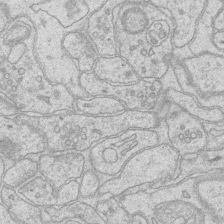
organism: Mouse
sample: CA1 Hippocampus